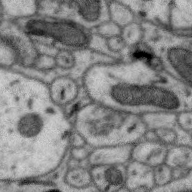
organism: Zebra finch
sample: Brain